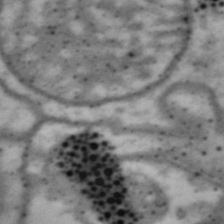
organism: Drosophila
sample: Brain